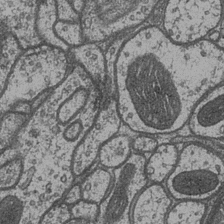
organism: Drosophila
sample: Optic medulla